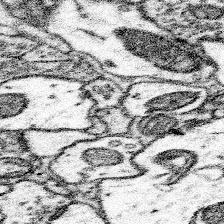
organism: Mouse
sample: Somatosensory cortex neuropil